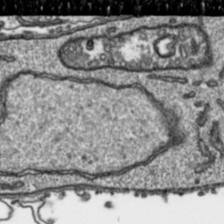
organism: Toxoplasma gondii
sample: Parasites in a vacuole inside a host cell